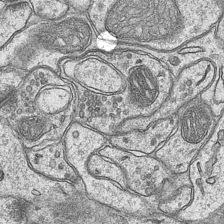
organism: Mouse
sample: CA1 Hippocampus